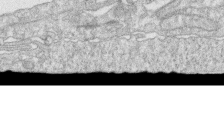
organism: Human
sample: HeLa cell HIV synapse